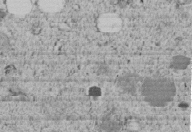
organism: C. elegans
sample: C. elegans embryo early stage